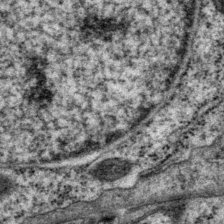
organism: P. pacificus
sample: Pharynx